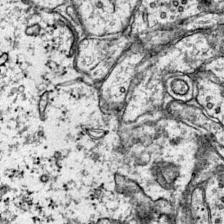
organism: Mouse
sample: Primary visual cortex